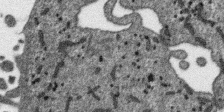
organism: Human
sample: Lung epithelial cells infected with SARS-CoV-2